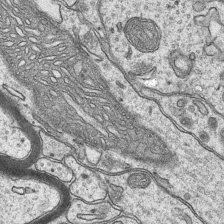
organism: Mouse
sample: CA1 Hippocampus